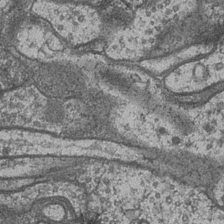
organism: Drosophila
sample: Optic medulla